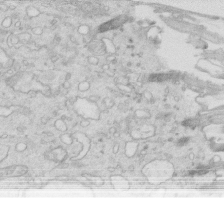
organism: Mouse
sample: Multiciliated cells